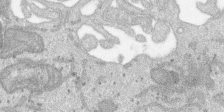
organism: Human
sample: Lung epithelial cells infected with SARS-CoV-2